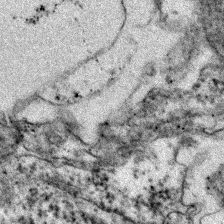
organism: Zebrafish